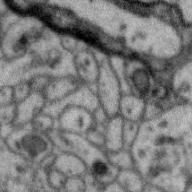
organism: Zebra finch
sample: Brain